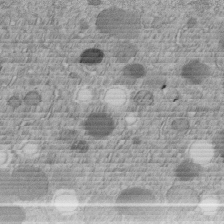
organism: C. elegans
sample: C. elegans embryo early stage